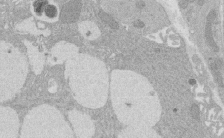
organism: Rat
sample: Salivary granule